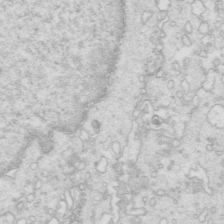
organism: Mouse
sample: Multiciliated cells